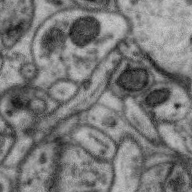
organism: Zebra finch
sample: Brain